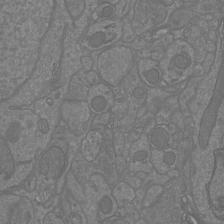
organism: Mouse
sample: Cortical neurons